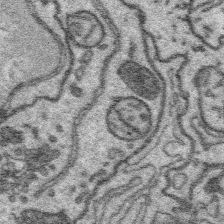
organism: Platynereis dumerilii